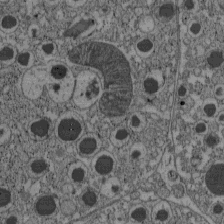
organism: C57BL Mouse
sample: Pancreatic islet